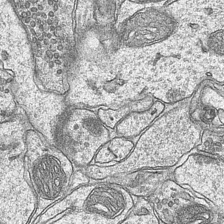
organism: Mouse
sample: CA1 Hippocampus